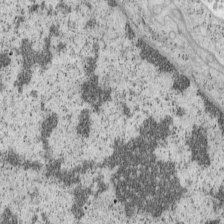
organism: Mouse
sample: OT-I killer T cells with ID8 ovarian cancer cells